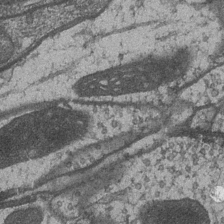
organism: Drosophila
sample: Optic medulla